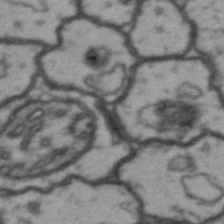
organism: Drosophila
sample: Brain